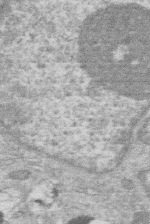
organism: Human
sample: Macrophage cells